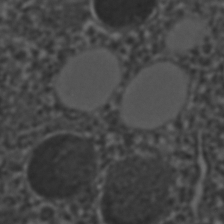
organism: C. elegans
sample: C. elegans embryo